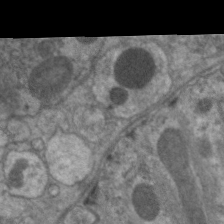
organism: C. elegans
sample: Pharynx